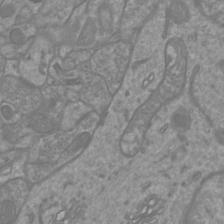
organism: Mouse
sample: Cortical neurons